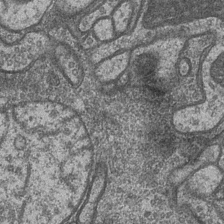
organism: Drosophila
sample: Optic medulla